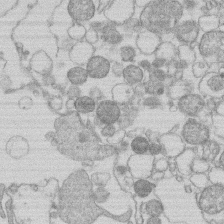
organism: Human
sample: Macrophage cells